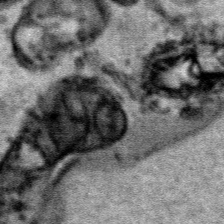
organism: Human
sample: Mitochondria in HCT116 cells